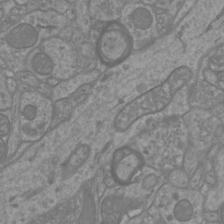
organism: Mouse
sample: Cortical neurons